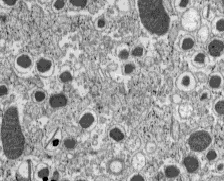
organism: C57BL Mouse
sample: Pancreatic islet